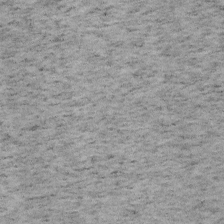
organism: Mouse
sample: OT-I killer T cells with ID8 ovarian cancer cells